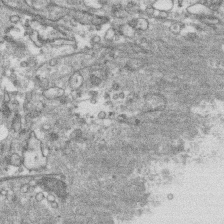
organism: Human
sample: CRL-1474